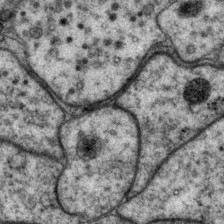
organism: P. pacificus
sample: Pharynx